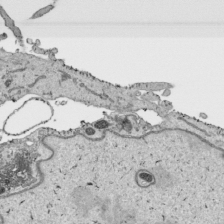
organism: Human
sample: Mitochondria in HCT116 cells